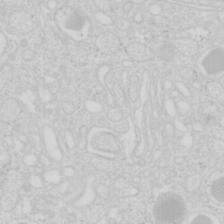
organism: Mouse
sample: Pancreas